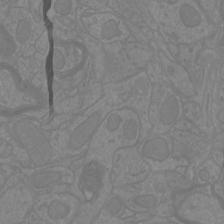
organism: Mouse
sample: Cortical neurons